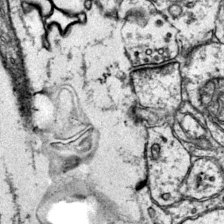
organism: Mouse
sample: Primary visual cortex